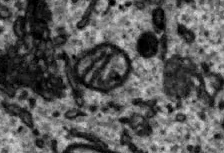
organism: Human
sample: HeLa cells